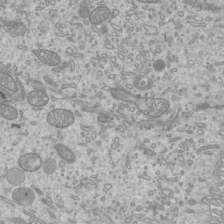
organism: Mouse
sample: Cilia; mouse epididymis